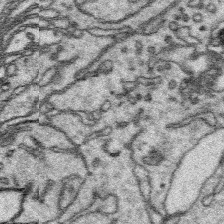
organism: Platynereis dumerilii